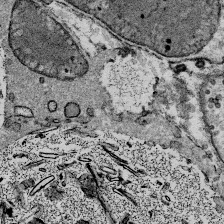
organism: Mouse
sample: Mouse Salivary gland